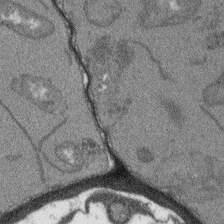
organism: Arabidopsis thaliana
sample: Root tip